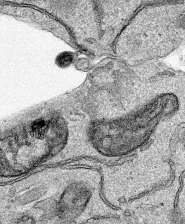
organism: Human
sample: Mitochondria in HCT116 cells